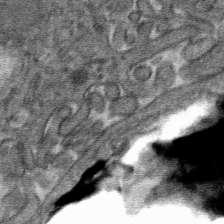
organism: Mouse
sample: Mouse hepatocytes